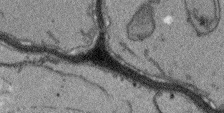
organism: Arabidopsis thaliana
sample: Root tip